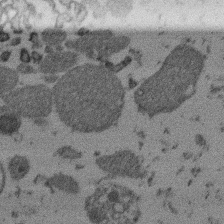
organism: Mouse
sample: Dividing mouse embryo 1 cell stage